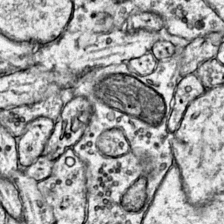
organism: Mouse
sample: Primary visual cortex